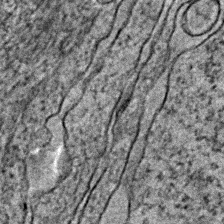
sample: Trachea